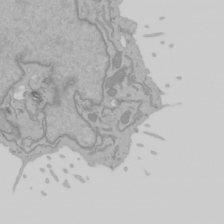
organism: Mouse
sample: Cancer cell death in ED-1 cells